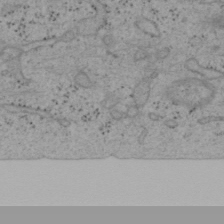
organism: Human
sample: HeLa cells